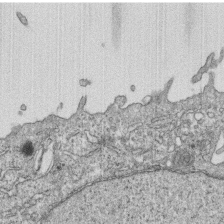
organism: Human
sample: HeLa cell HIV synapse